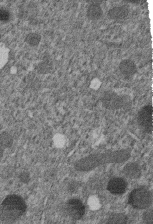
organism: C. elegans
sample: C. elegans embryo early stage